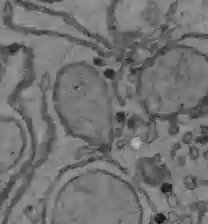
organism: C57BL Mouse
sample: Liver